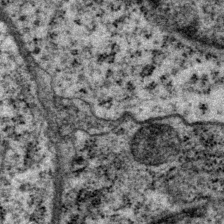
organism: P. pacificus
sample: Pharynx